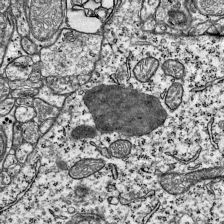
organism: Mouse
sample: Visual Cortex